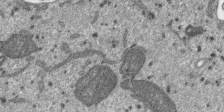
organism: Human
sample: Lung epithelial cells infected with SARS-CoV-2